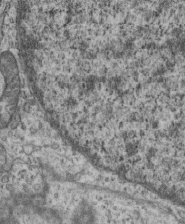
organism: Mouse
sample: Centriole in ependymal cells